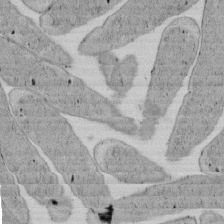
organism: E. coli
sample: Bacterial nucleoid